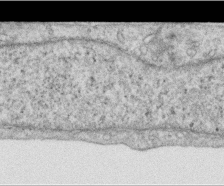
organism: Human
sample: Centriole in RPE cells